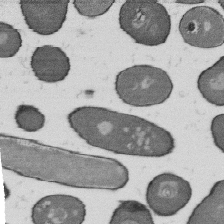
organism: B. subtilis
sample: Bacterial spore